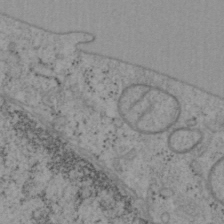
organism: Human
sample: HeLa cells